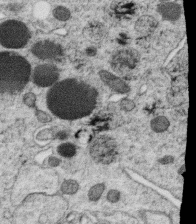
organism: C. elegans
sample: C. elegans oocyte; sperm cells